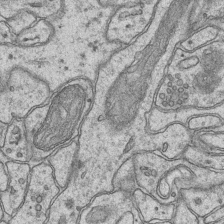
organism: Mouse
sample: CA1 Hippocampus